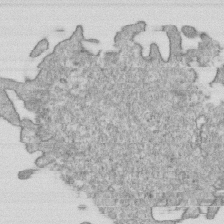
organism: Mouse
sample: Activated OT-1 CD8+ T cells